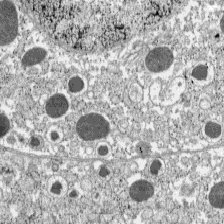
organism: C57BL Mouse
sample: Pancreatic islet